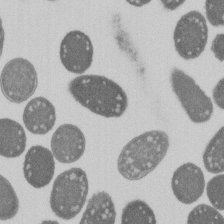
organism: E. coli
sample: Bacterial nucleoid